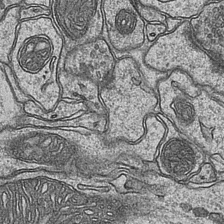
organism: Mouse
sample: CA1 Hippocampus